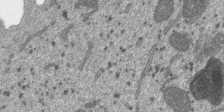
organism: Human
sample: Lung epithelial cells infected with SARS-CoV-2